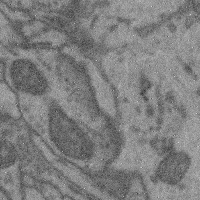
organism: Mouse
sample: Cerebral cortex